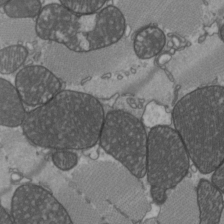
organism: C57BL Mouse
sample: Heart